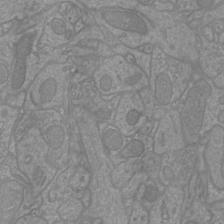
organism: Mouse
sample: Cortical neurons